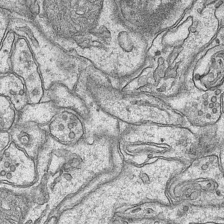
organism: Mouse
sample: CA1 Hippocampus